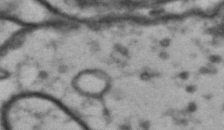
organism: Drosophila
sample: Brain